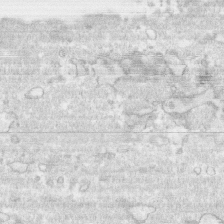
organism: Human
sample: CRL-1474